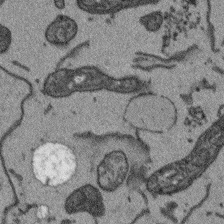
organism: Arabidopsis thaliana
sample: Root tip